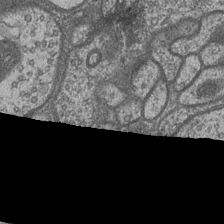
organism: Drosophila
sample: Optic medulla